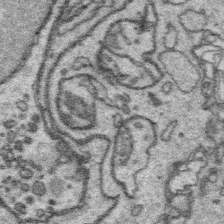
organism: Platynereis dumerilii